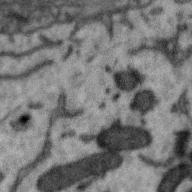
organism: Zebra finch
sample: Brain